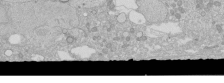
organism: Human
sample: Caco-2 cells